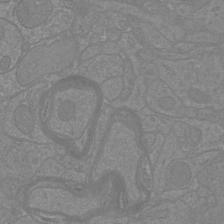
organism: Mouse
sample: Cortical neurons